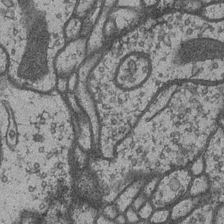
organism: Drosophila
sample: Optic medulla